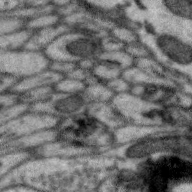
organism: Zebra finch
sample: Brain